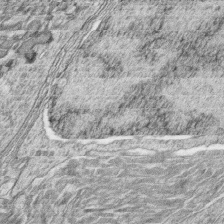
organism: Zebrafish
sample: synaptic ribbons in rod cells and cone cells